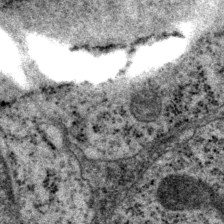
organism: P. pacificus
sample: Pharynx